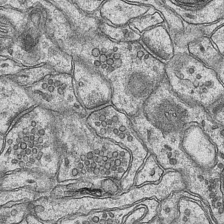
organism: Mouse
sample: CA1 Hippocampus